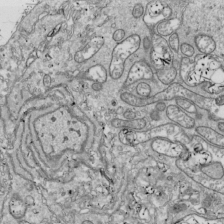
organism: Drosophila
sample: Cell division; meiosis; drosophila spermatocytes